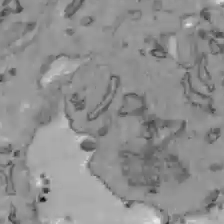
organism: C57BL Mouse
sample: Liver